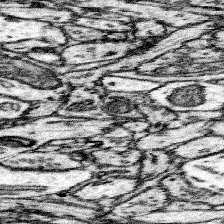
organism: Mouse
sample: Somatosensory cortex neuropil